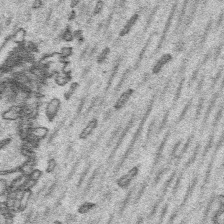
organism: Platynereis dumerilii